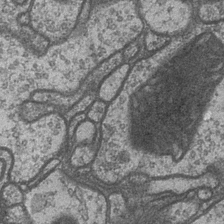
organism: Drosophila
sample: Optic medulla